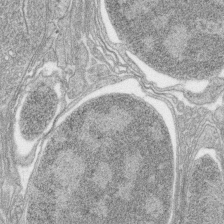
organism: Zebrafish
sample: synaptic ribbons in rod cells and cone cells